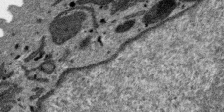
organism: Human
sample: Lung epithelial cells, uninfected (mock) control